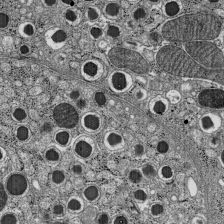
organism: C57BL Mouse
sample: Pancreatic islet